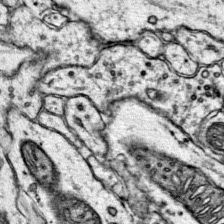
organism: Mouse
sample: Primary visual cortex